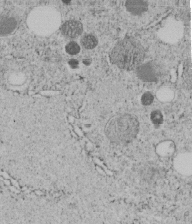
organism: C. elegans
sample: C. elegans embryo early stage